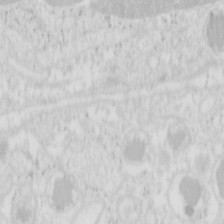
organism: Mouse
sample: Pancreas